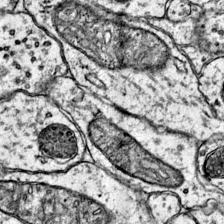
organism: Mouse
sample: Primary visual cortex